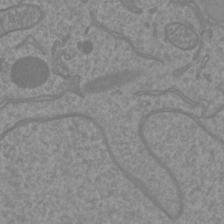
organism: Mouse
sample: Cortical neurons